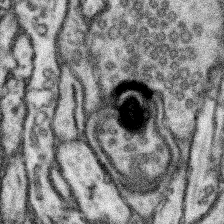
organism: Mouse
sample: Somatosensory cortex neuropil